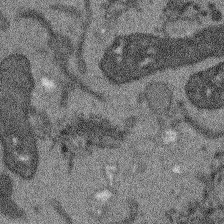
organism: Arabidopsis thaliana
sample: Root tip